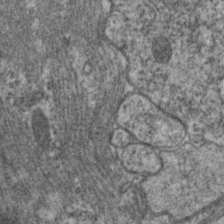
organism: C. elegans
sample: Pharynx